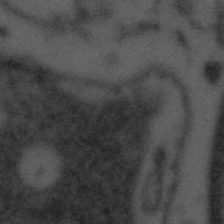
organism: Tuwongella immobilis